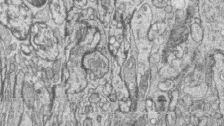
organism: Zebrafish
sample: synaptic ribbons in rod cells and cone cells